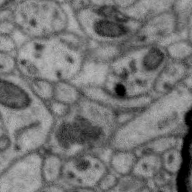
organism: Zebra finch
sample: Brain